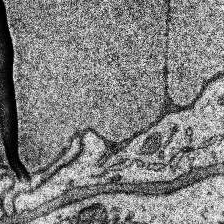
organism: Human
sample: Temporal Lobe